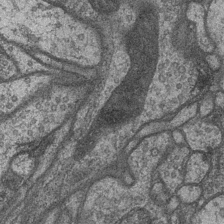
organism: Drosophila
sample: Optic medulla